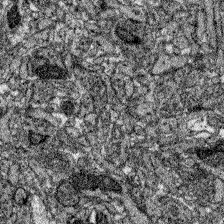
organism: Zebrafish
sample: Larval olfactory bulb